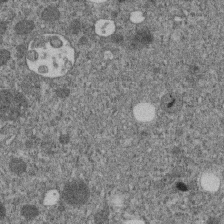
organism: C. elegans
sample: C. elegans embryo early stage